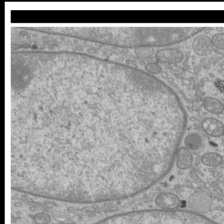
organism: Mouse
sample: Cilia; mouse epididymis